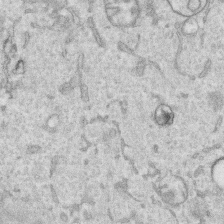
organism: Human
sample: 1205lu cells